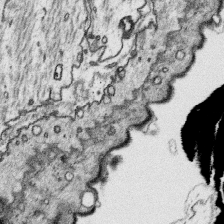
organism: Platynereis dumerilii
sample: Parapodia